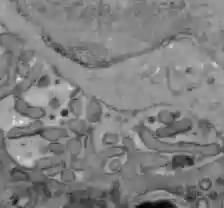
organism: C57BL Mouse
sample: Liver